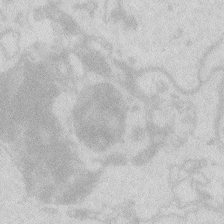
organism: Zebrafish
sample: Macrophage